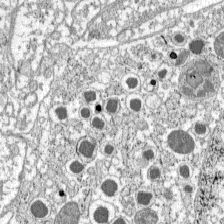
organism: C57BL Mouse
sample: Pancreatic islet